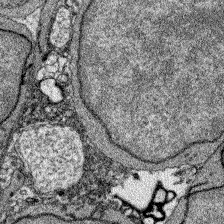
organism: Zebrafish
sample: Larval olfactory bulb